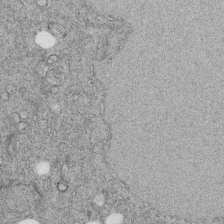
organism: C. elegans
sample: C. elegans embryo early stage